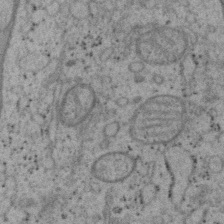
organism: Human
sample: HeLa cells